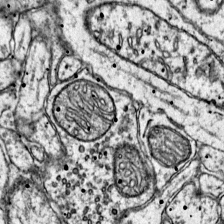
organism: Mouse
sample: Primary visual cortex